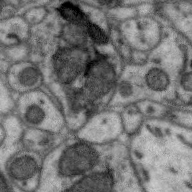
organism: Zebra finch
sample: Brain